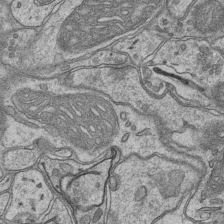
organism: Mouse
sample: CA1 Hippocampus